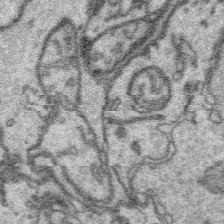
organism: Platynereis dumerilii